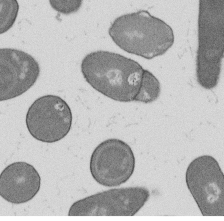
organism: B. subtilis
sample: Bacterial spore